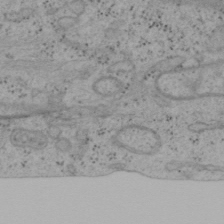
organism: Human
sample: HeLa cells